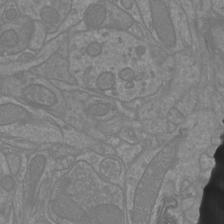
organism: Mouse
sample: Cortical neurons